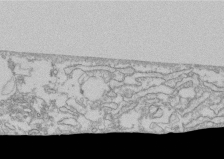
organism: Human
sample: CRL-1474